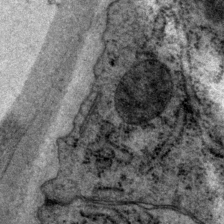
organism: P. pacificus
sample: Pharynx